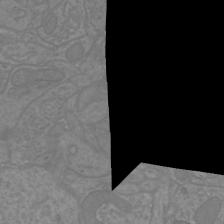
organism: Mouse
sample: Cortical neurons